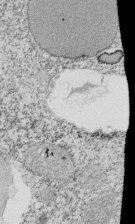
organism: Tetrahymena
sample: Cilia in tetrahymena